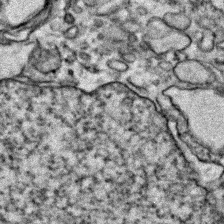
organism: Zebrafish